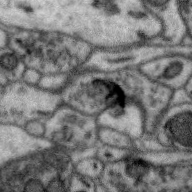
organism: Zebra finch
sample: Brain